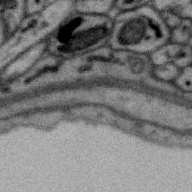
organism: Zebra finch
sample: Brain